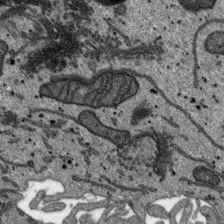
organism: Human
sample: Lung epithelial cells, uninfected (mock) control